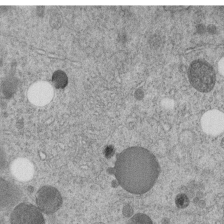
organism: C. elegans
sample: C. elegans embryo early stage